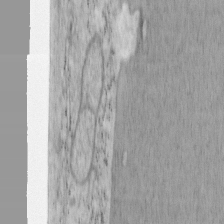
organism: Human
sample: HeLa cells